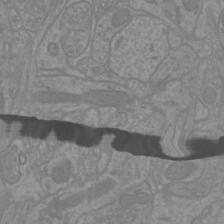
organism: Mouse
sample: Cortical neurons